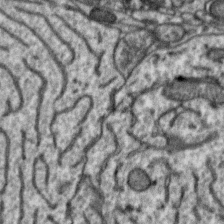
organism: Zebra finch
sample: Brain